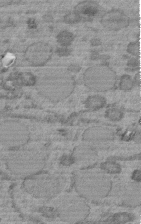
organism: C. elegans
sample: C. elegans embryo early stage